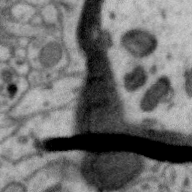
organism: Zebra finch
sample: Brain